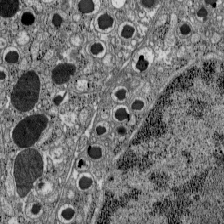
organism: C57BL Mouse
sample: Pancreatic islet